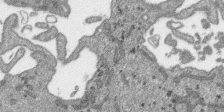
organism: Human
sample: Lung epithelial cells infected with SARS-CoV-2